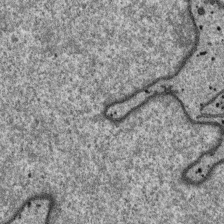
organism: Human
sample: Lung epithelial cells, uninfected (mock) control